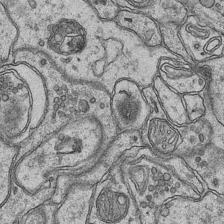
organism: Mouse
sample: CA1 Hippocampus